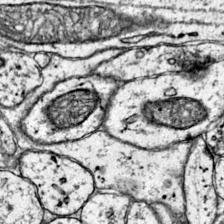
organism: Mouse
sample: Primary visual cortex